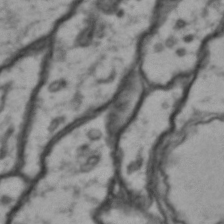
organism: Drosophila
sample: Brain